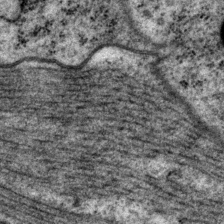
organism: P. pacificus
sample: Pharynx